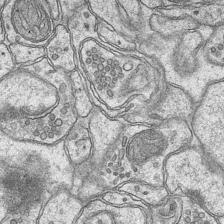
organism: Mouse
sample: CA1 Hippocampus